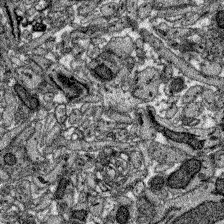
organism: Zebrafish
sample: Larval olfactory bulb